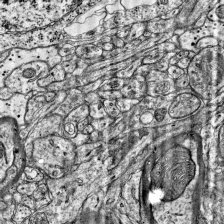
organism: Mouse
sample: Visual Cortex